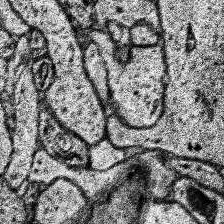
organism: Human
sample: Temporal Lobe